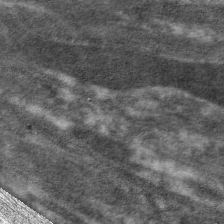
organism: C. elegans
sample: Pharynx